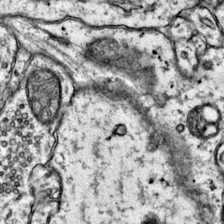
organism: Mouse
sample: Primary visual cortex